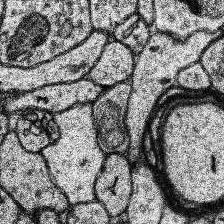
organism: Human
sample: Temporal Lobe